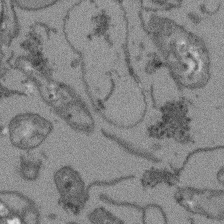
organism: Arabidopsis thaliana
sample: Root tip